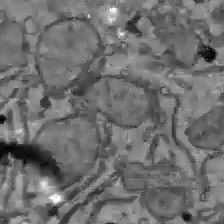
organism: C57BL Mouse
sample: Liver